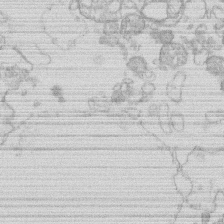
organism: Human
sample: Macrophage cells